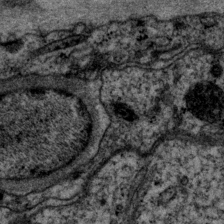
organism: P. pacificus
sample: Pharynx